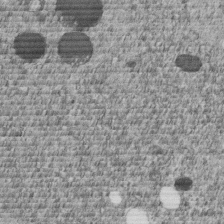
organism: C. elegans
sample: C. elegans embryo early stage